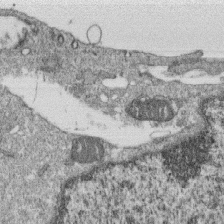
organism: African green monkey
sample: Vero E6 cells infected with SARS-CoV-2